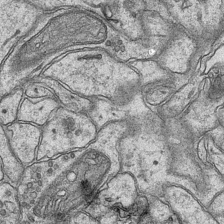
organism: Mouse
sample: CA1 Hippocampus